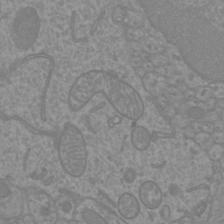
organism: Mouse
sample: Cortical neurons